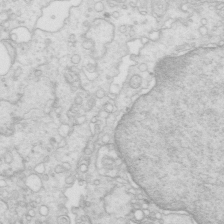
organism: Mouse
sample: Multiciliated cells